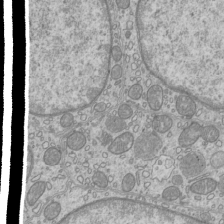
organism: Mouse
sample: Cilia; mouse epididymis